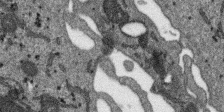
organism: Human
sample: Lung epithelial cells infected with SARS-CoV-2